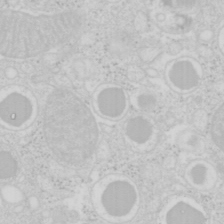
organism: Mouse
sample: Pancreas